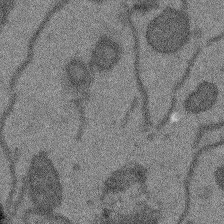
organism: Arabidopsis thaliana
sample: Root tip